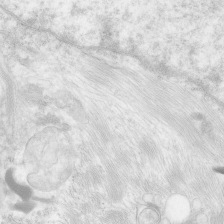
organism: Human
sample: Neocortex